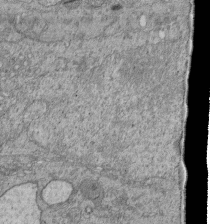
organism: Human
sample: Retinal organoid Rod and Cone cells